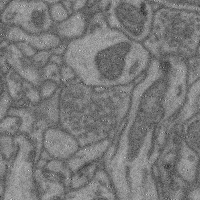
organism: Mouse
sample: Cerebral cortex